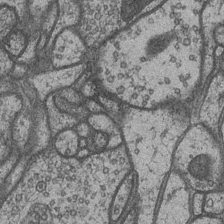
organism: Drosophila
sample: Optic medulla